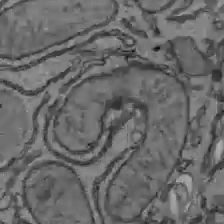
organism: C57BL Mouse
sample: Liver